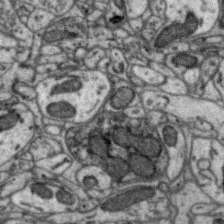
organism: Zebra finch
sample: Brain